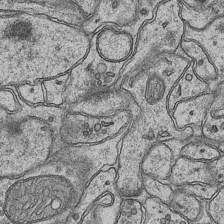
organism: Mouse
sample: CA1 Hippocampus